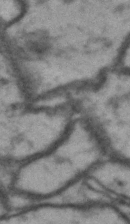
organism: Drosophila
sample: Brain